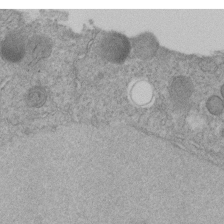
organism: C. elegans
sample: C. elegans embryo early stage